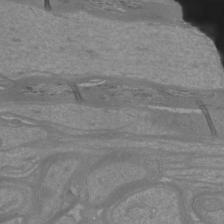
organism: Mouse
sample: Cortical neurons